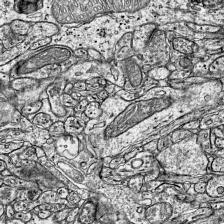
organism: Mouse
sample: Visual Cortex